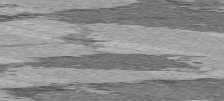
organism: C57BL Mouse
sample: Heart